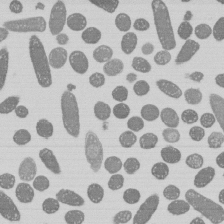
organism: E. coli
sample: Bacterial nucleoid